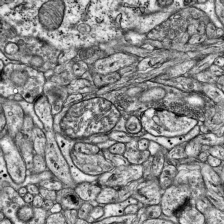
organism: Mouse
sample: Visual Cortex